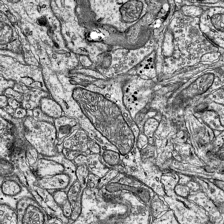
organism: Mouse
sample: Visual Cortex